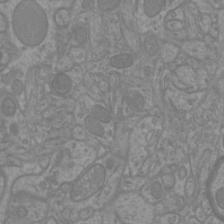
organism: Mouse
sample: Cortical neurons